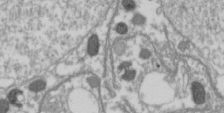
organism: Drosophila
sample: Cell division; meiosis; drosophila spermatocytes